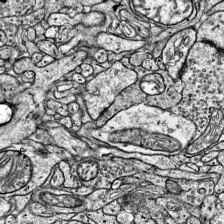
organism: Mouse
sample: Visual Cortex